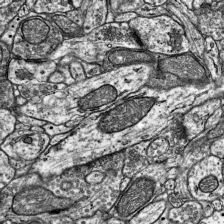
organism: Mouse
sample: Visual Cortex